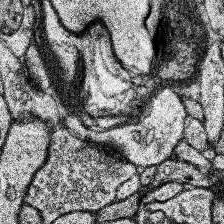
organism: Human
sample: Temporal Lobe